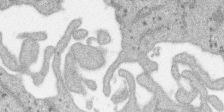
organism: Human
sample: Lung epithelial cells infected with SARS-CoV-2